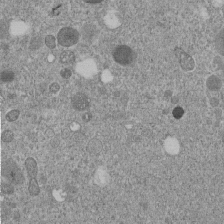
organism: C. elegans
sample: C. elegans embryo early stage